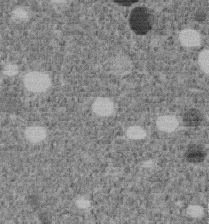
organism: C. elegans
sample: C. elegans embryo early stage